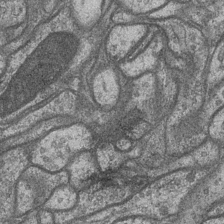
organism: Drosophila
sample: Optic medulla